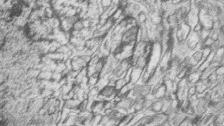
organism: Zebrafish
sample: synaptic ribbons in rod cells and cone cells